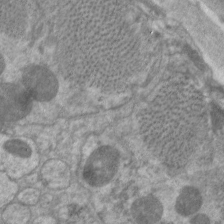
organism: C. elegans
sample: Pharynx